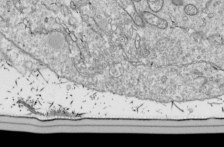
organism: Drosophila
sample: Cell division; meiosis; drosophila spermatocytes